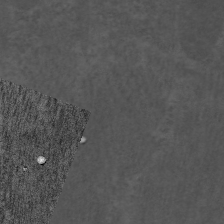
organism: C. elegans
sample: Pharynx